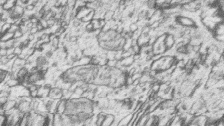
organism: Zebrafish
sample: synaptic ribbons in rod cells and cone cells